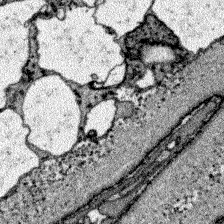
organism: Zebrafish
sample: Larval olfactory bulb